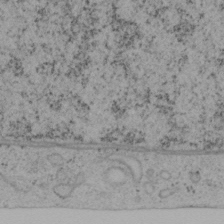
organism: Human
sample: HeLa cells